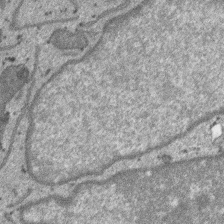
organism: Human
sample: Lung epithelial cells infected with SARS-CoV-2